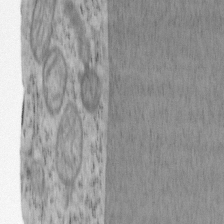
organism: Human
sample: HeLa cells